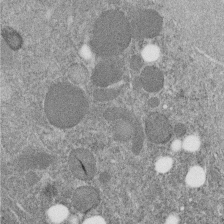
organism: C. elegans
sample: C. elegans embryo early stage